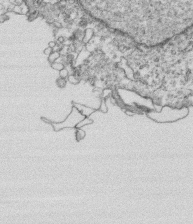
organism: Human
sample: HeLa cell HIV synapse